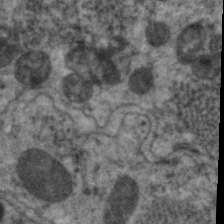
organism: C. elegans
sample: Pharynx